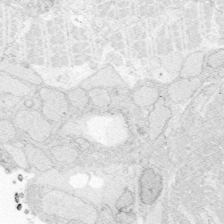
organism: Zebrafish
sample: Whole-Brain